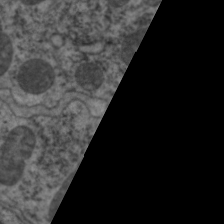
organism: C. elegans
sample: Pharynx